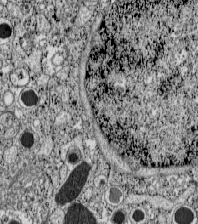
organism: C57BL Mouse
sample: Pancreatic islet